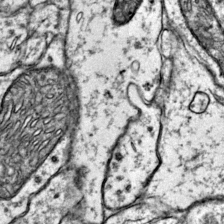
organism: Mouse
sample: Primary visual cortex